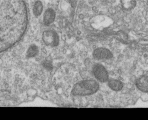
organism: Human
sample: Centriole in RPE cells